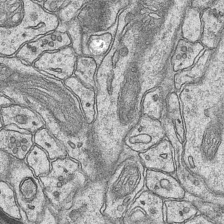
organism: Mouse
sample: CA1 Hippocampus